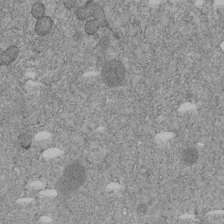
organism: C. elegans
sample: C. elegans embryo early stage